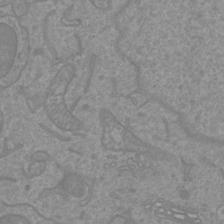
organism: Mouse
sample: Cortical neurons